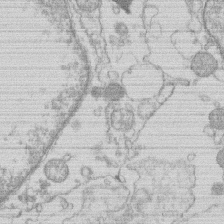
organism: Human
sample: Macrophage cells